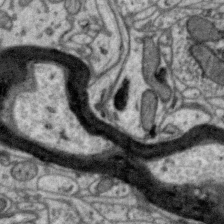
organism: Zebra finch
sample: Brain